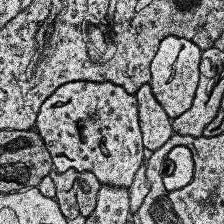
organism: Human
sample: Temporal Lobe